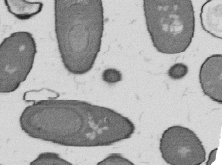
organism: B. subtilis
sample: Bacterial spore